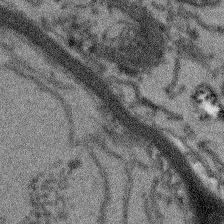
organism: Arabidopsis thaliana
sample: Root tip